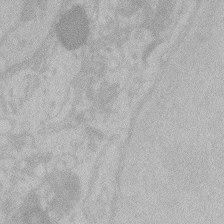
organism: Zebrafish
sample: Macrophage infected with Toxoplasma gondii